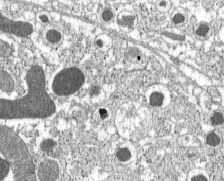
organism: C57BL Mouse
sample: Pancreatic islet